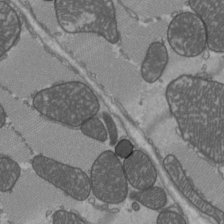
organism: C57BL Mouse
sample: Heart